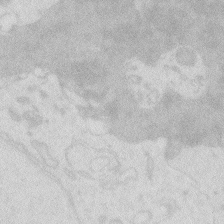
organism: Zebrafish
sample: Macrophage